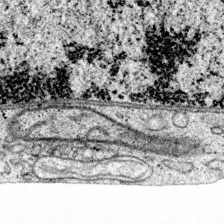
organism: Human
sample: HeLa cells